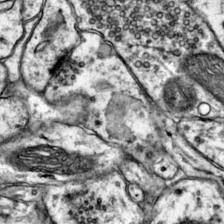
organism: Mouse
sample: Primary visual cortex